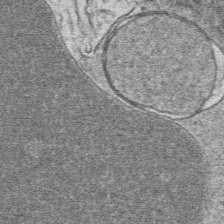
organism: Mouse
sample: Mouse hepatocytes